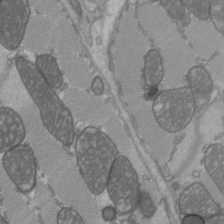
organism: C57BL Mouse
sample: Heart